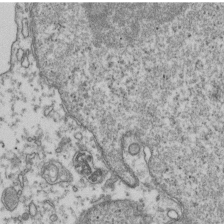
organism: Human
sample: Activated Jurkat CD4+ T cells